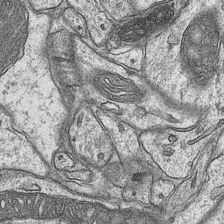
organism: Mouse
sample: CA1 Hippocampus